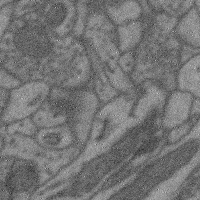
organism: Mouse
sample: Cerebral cortex